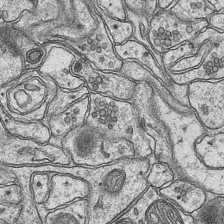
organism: Mouse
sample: CA1 Hippocampus